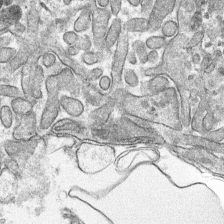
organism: Mouse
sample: Mouse hepatocytes